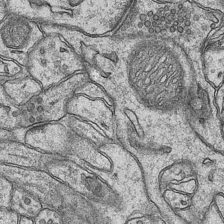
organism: Mouse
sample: CA1 Hippocampus